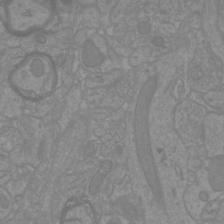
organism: Mouse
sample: Cortical neurons